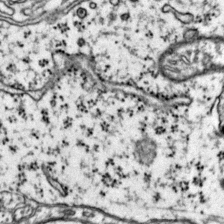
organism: Mouse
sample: Primary visual cortex